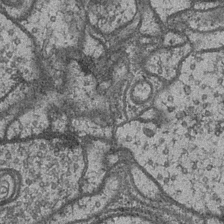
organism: Drosophila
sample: Optic medulla